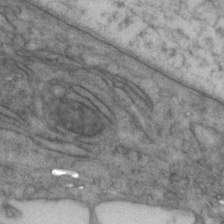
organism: Zebrafish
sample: Zebrafish embryo